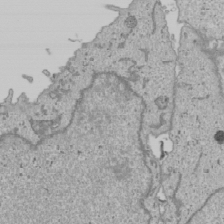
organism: Human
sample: Mitochondria in U2OS cells